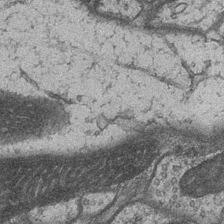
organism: Drosophila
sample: Optic medulla